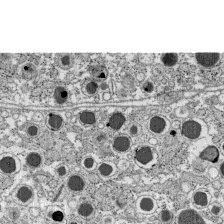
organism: C57BL Mouse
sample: Pancreatic islet